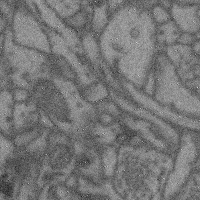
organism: Mouse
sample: Cerebral cortex